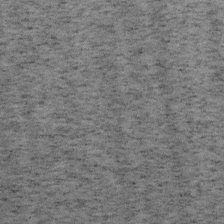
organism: Mouse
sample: OT-I killer T cells with ID8 ovarian cancer cells